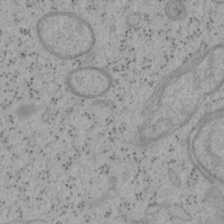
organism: Human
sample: HeLa cells